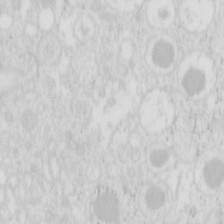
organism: Mouse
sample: Pancreas